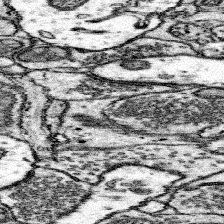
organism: Mouse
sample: Somatosensory cortex neuropil